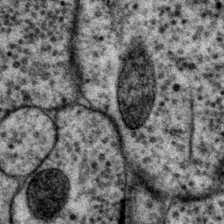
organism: P. pacificus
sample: Pharynx